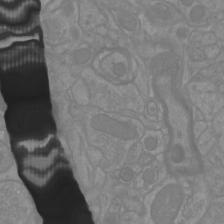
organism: Mouse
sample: Cortical neurons